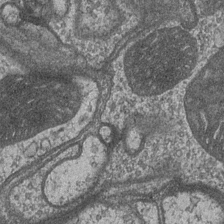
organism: Drosophila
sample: Optic medulla